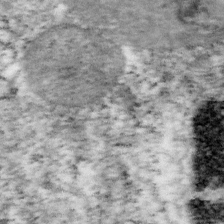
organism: Mouse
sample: OT-I killer T cells with ID8 ovarian cancer cells